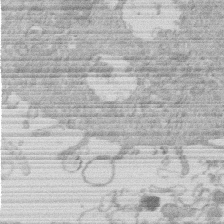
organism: Human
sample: Macrophage cells